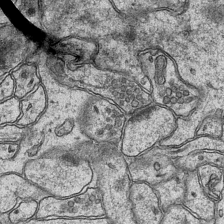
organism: Mouse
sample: CA1 Hippocampus